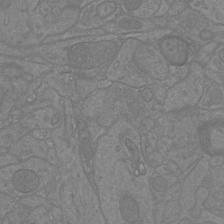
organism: Mouse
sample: Cortical neurons